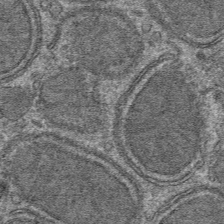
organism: Mouse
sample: Mouse hepatocytes